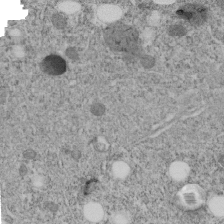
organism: C. elegans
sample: C. elegans embryo early stage